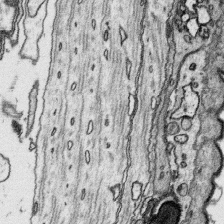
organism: Platynereis dumerilii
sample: Parapodia